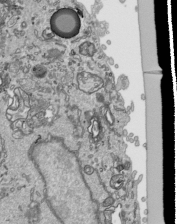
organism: Human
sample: Mitochondria in HCT116 cells